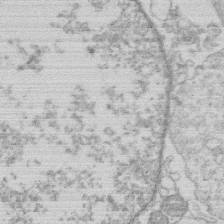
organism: Human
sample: Macrophage cells